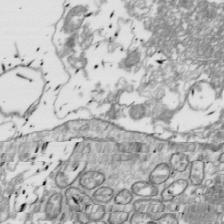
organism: Drosophila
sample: Cell division; meiosis; drosophila spermatocytes